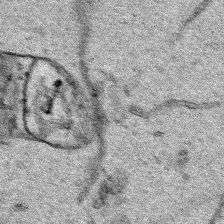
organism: Human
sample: Mitochondria in HCT116 cells